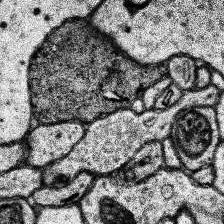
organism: Human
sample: Temporal Lobe